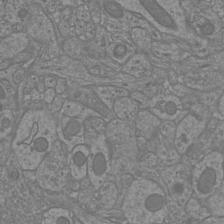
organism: Mouse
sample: Cortical neurons